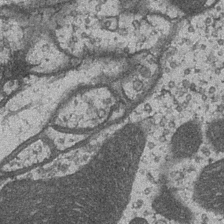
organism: Drosophila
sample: Optic medulla